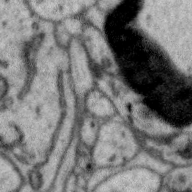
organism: Zebra finch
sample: Brain